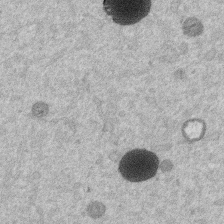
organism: Mouse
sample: Dividing mouse embryo 1 cell stage